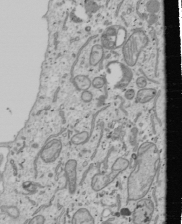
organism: Human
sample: Mitochondria in U2OS cells